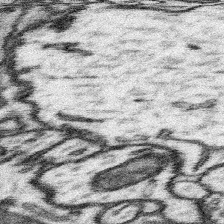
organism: Mouse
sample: Somatosensory cortex neuropil